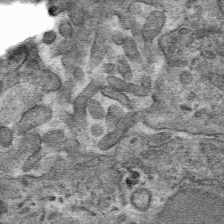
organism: Mouse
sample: Mouse hepatocytes